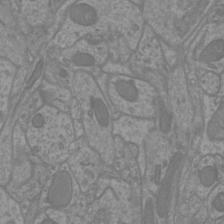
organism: Mouse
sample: Cortical neurons